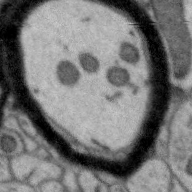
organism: Zebra finch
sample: Brain